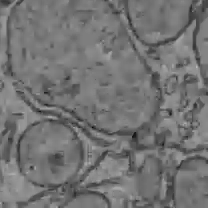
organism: C57BL Mouse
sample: Liver